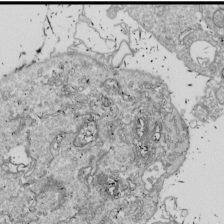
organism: Drosophila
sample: Cell division; meiosis; drosophila spermatocytes